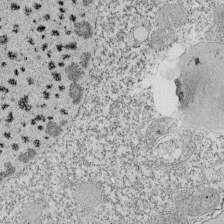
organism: Tetrahymena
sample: Cilia in tetrahymena